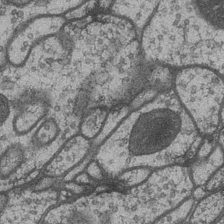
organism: Drosophila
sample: Optic medulla